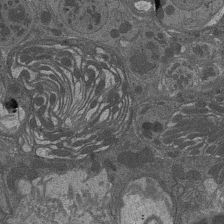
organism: Drosophila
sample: Antenna